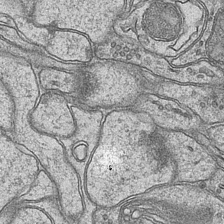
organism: Mouse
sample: CA1 Hippocampus